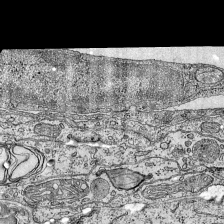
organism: Mouse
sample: Visual Cortex